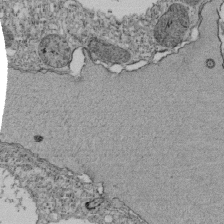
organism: Tetrahymena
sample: Cilia in tetrahymena